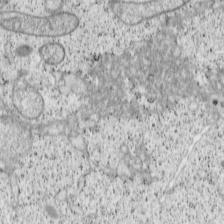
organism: African green monkey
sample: COS-7 cells